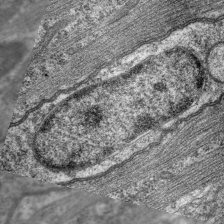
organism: C. elegans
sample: Pharynx